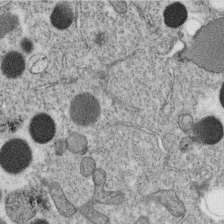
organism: C. elegans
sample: C. elegans oocyte; sperm cells